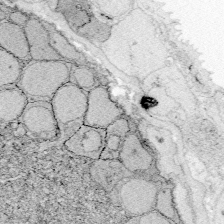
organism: Zebrafish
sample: Whole-Brain